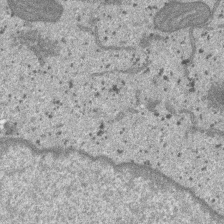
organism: Human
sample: Lung epithelial cells infected with SARS-CoV-2